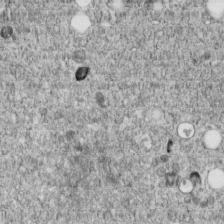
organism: C. elegans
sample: C. elegans embryo early stage